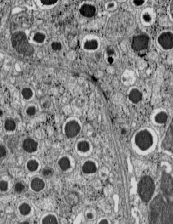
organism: C57BL Mouse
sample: Pancreatic islet